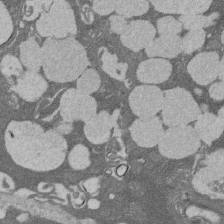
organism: Rat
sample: Salivary granule